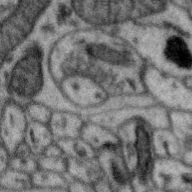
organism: Zebra finch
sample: Brain